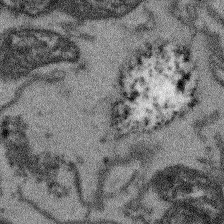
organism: Arabidopsis thaliana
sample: Root tip